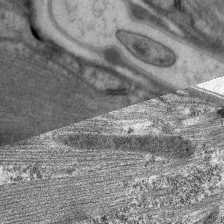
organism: C. elegans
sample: Pharynx